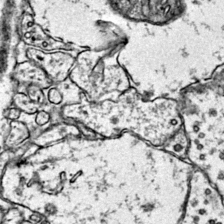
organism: Mouse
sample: Primary visual cortex